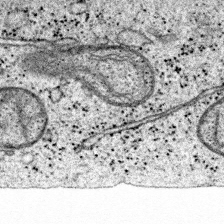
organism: Human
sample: HeLa cells